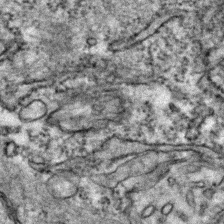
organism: Zebrafish